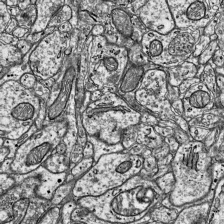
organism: Mouse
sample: Visual Cortex